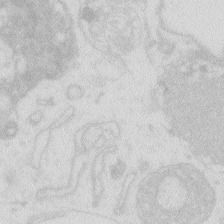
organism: Zebrafish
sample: Macrophage